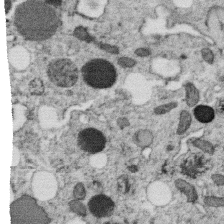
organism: C. elegans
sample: C. elegans oocyte; sperm cells